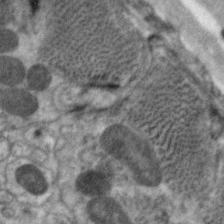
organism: C. elegans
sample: Pharynx